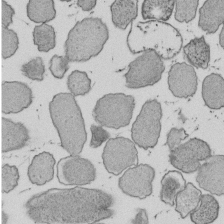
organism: E. coli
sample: Bacterial nucleoid